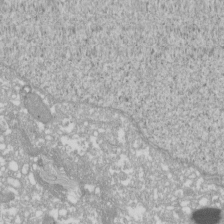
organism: Xenopus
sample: Cilia; centrioles in frog embryo cells